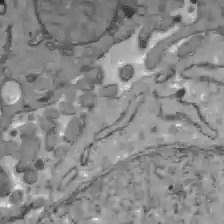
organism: C57BL Mouse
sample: Liver